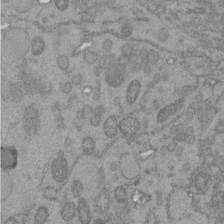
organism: C. elegans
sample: C. elegans embryo early stage